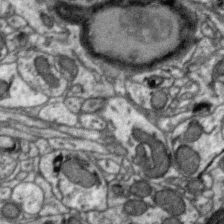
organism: Zebra finch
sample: Brain